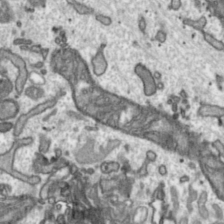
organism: Toxoplasma gondii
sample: Parasites in a vacuole inside a host cell